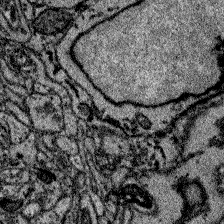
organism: Zebrafish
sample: Larval olfactory bulb